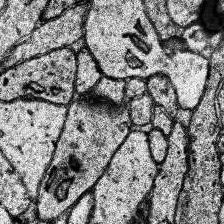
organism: Human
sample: Temporal Lobe